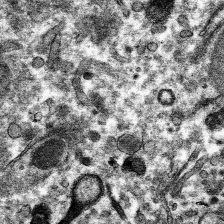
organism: Mouse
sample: Mouse hepatocytes